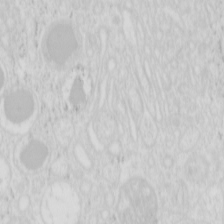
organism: Mouse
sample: Pancreas